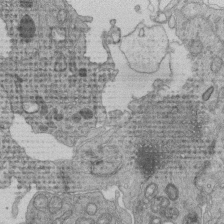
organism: Human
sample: Retinal organoid Rod and Cone cells